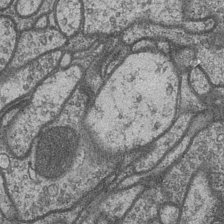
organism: Drosophila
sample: Optic medulla